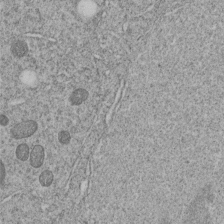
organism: C. elegans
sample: C. elegans embryo early stage